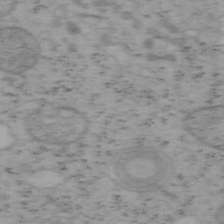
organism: Mouse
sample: OT-I killer T cells with ID8 ovarian cancer cells